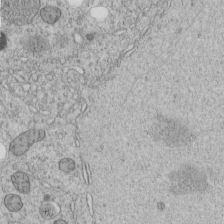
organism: C. elegans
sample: C. elegans embryo early stage